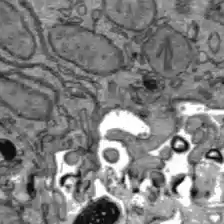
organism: C57BL Mouse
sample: Liver